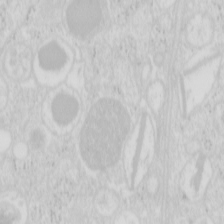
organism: Mouse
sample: Pancreas